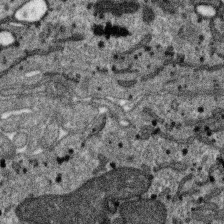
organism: Human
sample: Lung epithelial cells infected with SARS-CoV-2